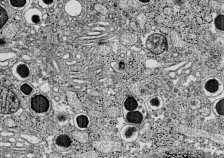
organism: C57BL Mouse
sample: Pancreatic islet